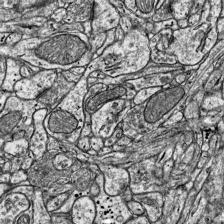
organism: Mouse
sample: Visual Cortex